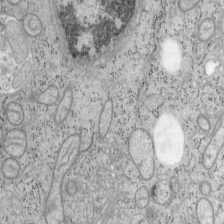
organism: Mouse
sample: OT-I killer T cells with ID8 ovarian cancer cells